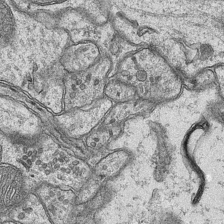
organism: Mouse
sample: CA1 Hippocampus